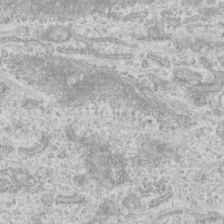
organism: Human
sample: CRL-1474